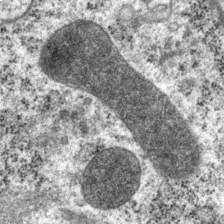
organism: P. pacificus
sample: Pharynx